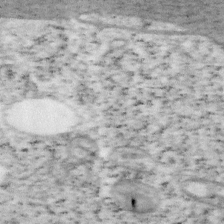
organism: Mouse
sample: OT-I killer T cells with ID8 ovarian cancer cells